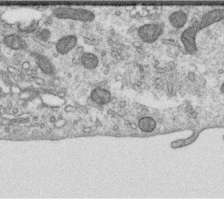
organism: Human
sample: Centriole in RPE cells